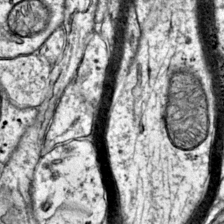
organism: Mouse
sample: Primary visual cortex